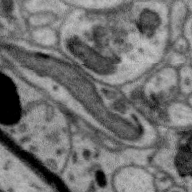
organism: Zebra finch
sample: Brain